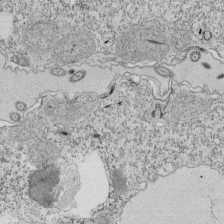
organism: Tetrahymena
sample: Cilia in tetrahymena